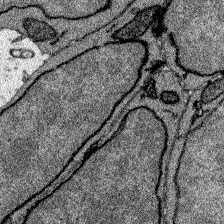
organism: Zebrafish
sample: Larval olfactory bulb